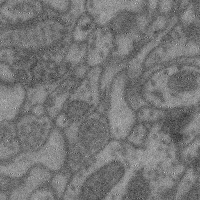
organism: Mouse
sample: Cerebral cortex